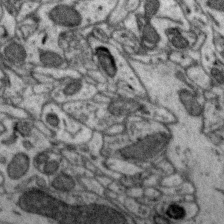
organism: Zebra finch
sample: Brain